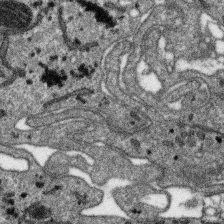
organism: Human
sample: Lung epithelial cells infected with SARS-CoV-2